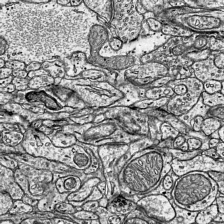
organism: Mouse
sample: Visual Cortex